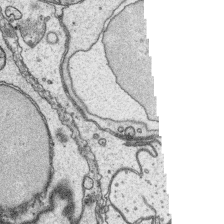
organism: Platynereis dumerilii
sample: Parapodia